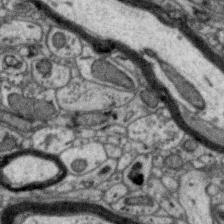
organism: Zebra finch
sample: Brain